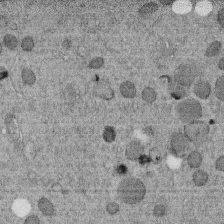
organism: C. elegans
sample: C. elegans embryo early stage